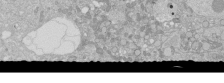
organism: Human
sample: Caco-2 cells